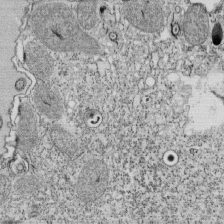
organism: Tetrahymena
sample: Cilia in tetrahymena